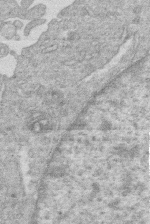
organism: Human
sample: Macrophage cells